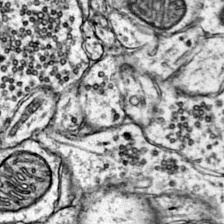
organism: Mouse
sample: Primary visual cortex